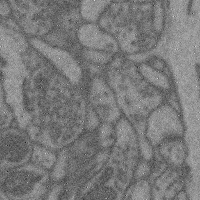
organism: Mouse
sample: Cerebral cortex